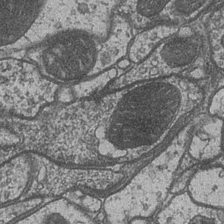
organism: Drosophila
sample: Optic medulla